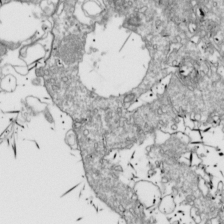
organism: Drosophila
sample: Cell division; meiosis; drosophila spermatocytes